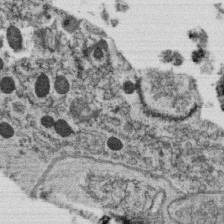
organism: C. elegans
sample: C. elegans oocyte; sperm cells